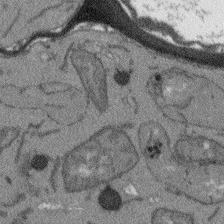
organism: Arabidopsis thaliana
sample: Root tip